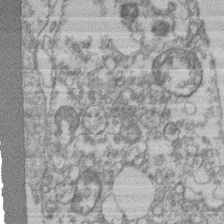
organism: Mouse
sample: T cell stromal cell synapse